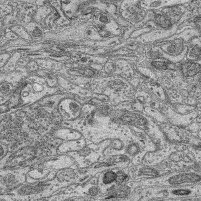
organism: Mouse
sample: Retina